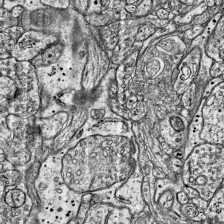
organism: Mouse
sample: Visual Cortex